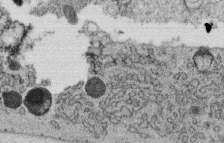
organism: C. elegans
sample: C. elegans oocyte; sperm cells